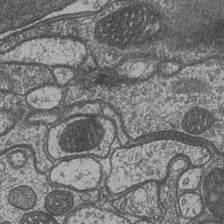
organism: Drosophila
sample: Optic medulla